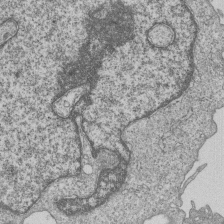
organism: Human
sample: MDA-MB-231 cells